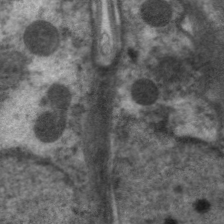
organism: C. elegans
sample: Pharynx